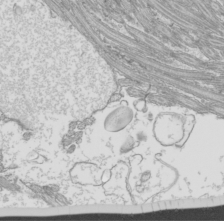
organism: Mouse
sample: Cilia; mouse epididymis